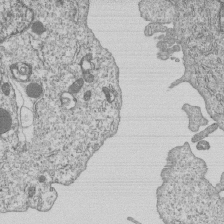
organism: Human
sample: MDA-MB-231 cells